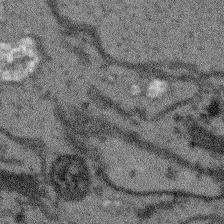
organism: Arabidopsis thaliana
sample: Root tip